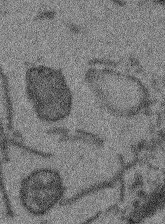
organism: Arabidopsis thaliana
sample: Root tip